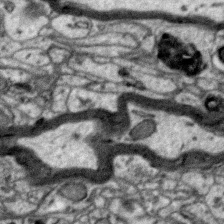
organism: Zebra finch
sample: Brain